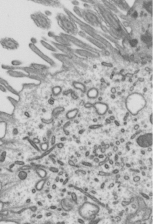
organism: Mouse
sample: Mouse epididymis efferent ductule cilia